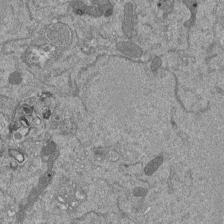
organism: Mouse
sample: ED-1 cell nuclei; centrioles